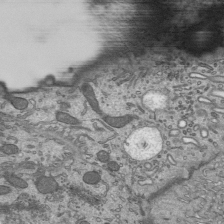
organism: Mouse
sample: Mouse epididymis efferent ductule cilia